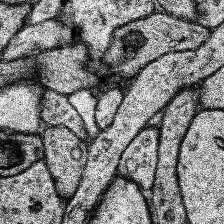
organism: Human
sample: Temporal Lobe